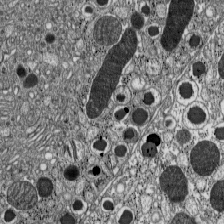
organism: C57BL Mouse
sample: Pancreatic islet